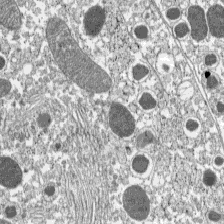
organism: C57BL Mouse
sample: Pancreatic islet